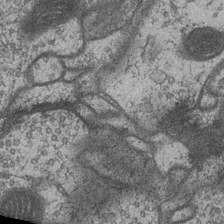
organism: Drosophila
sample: Optic medulla